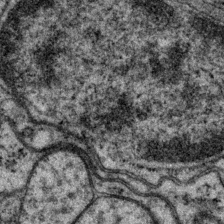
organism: P. pacificus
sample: Pharynx